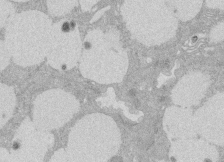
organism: Rat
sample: Salivary granule